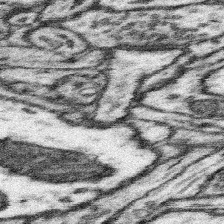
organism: Mouse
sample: Somatosensory cortex neuropil